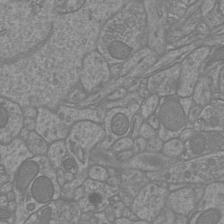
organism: Mouse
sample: Cortical neurons